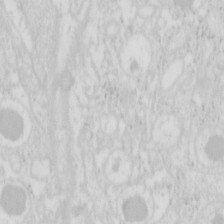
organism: Mouse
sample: Pancreas